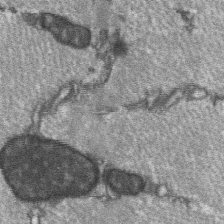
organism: C57BL Mouse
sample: Soleus